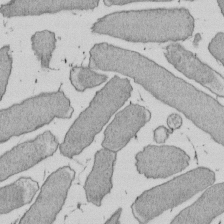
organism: E. coli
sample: Bacterial nucleoid